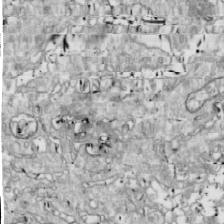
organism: Drosophila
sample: Cell division; meiosis; drosophila spermatocytes